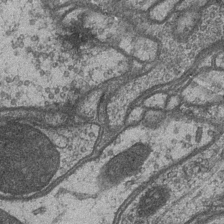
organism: Drosophila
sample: Optic medulla